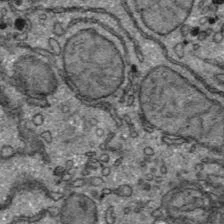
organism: C57BL Mouse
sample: Liver